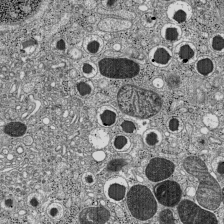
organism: C57BL Mouse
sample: Pancreatic islet